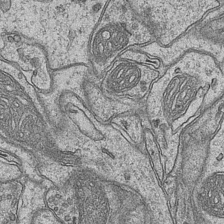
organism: Mouse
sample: CA1 Hippocampus